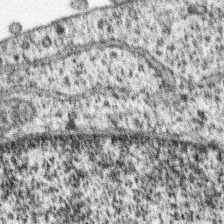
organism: Human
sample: HeLa cells